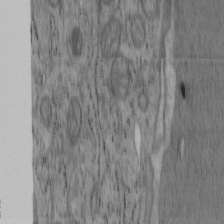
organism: Human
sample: HeLa cells